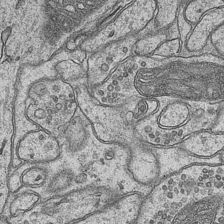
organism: Mouse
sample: CA1 Hippocampus